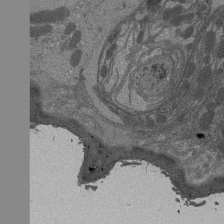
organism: Drosophila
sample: Antenna